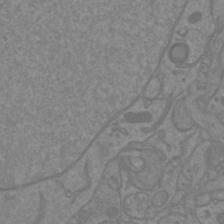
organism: Mouse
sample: Cortical neurons